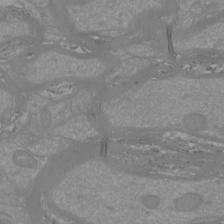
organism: Mouse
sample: Cortical neurons